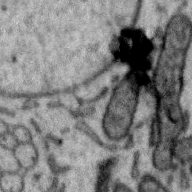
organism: Zebra finch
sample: Brain